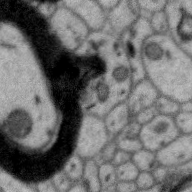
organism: Zebra finch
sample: Brain